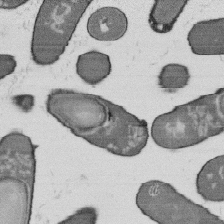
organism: B. subtilis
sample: Bacterial spore